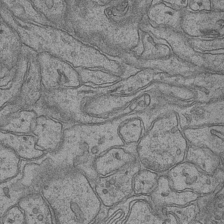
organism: Mouse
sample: CA1 Hippocampus